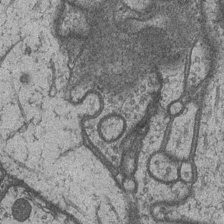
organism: Drosophila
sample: Optic medulla